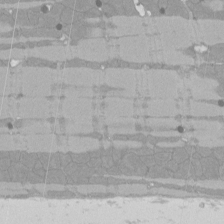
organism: Rat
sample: Left ventricle